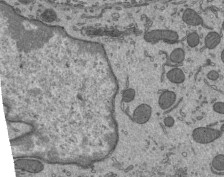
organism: Mouse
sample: Mouse epididymis efferent ductule cilia